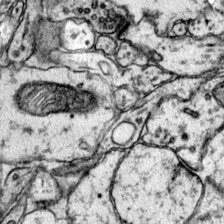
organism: Mouse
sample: Primary visual cortex